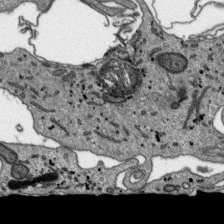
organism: Human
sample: Lung epithelial cells, uninfected (mock) control